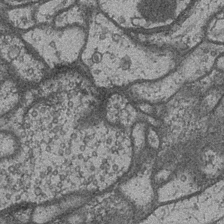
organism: Drosophila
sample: Optic medulla